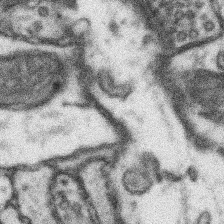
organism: Mouse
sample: Somatosensory cortex neuropil